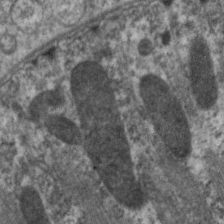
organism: C. elegans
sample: Pharynx